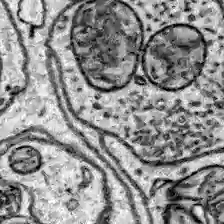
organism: Zebrafish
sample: Brain